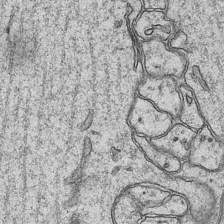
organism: Mouse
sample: CA1 Hippocampus